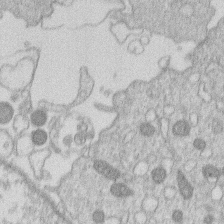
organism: Human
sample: Macrophage cells